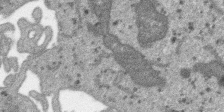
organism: Human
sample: Lung epithelial cells infected with SARS-CoV-2